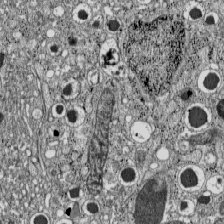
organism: C57BL Mouse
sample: Pancreatic islet